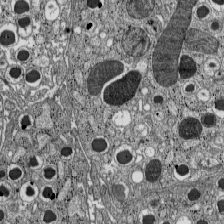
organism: C57BL Mouse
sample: Pancreatic islet